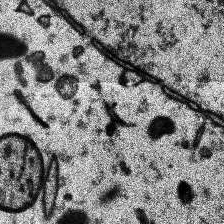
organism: Human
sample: Temporal Lobe